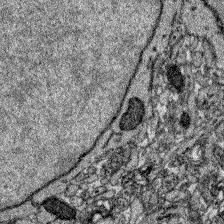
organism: Zebrafish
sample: Larval olfactory bulb